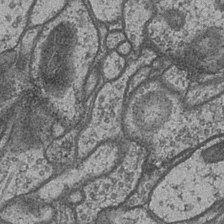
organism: Drosophila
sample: Optic medulla